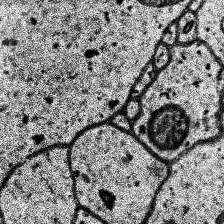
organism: Human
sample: Temporal Lobe